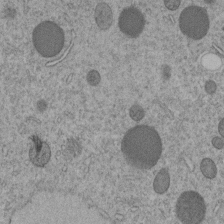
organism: C. elegans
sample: C. elegans embryo early stage